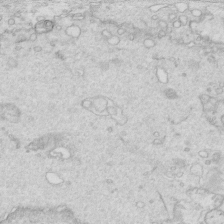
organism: Mouse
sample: Multiciliated cells